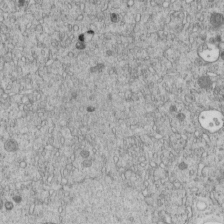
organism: C. elegans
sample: C. elegans embryo early stage